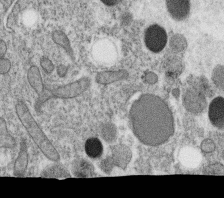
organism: C. elegans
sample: C. elegans oocyte; sperm cells